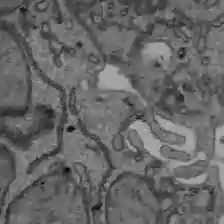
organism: C57BL Mouse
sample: Liver